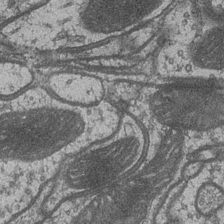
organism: Drosophila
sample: Optic medulla